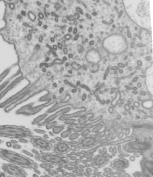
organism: Mouse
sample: Mouse epididymis efferent ductule cilia